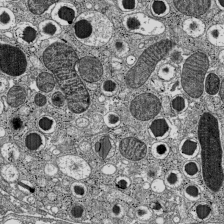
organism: C57BL Mouse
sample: Pancreatic islet